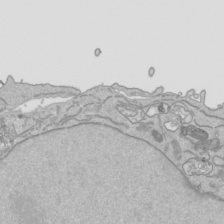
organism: Human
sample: Mitochondria in HCT116 cells